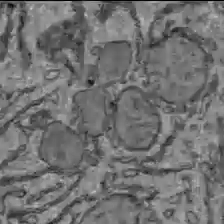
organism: C57BL Mouse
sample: Liver